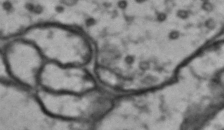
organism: Drosophila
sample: Brain